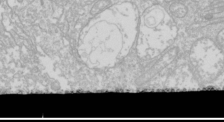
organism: Drosophila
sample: Cell division; meiosis; drosophila spermatocytes